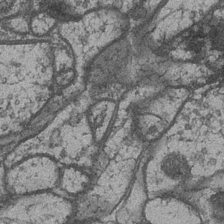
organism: Drosophila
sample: Optic medulla